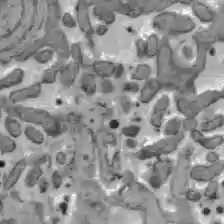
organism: C57BL Mouse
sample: Liver